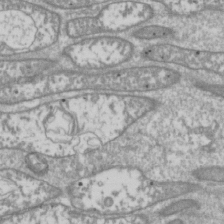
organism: Drosophila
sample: Cell division; meiosis; drosophila spermatocytes